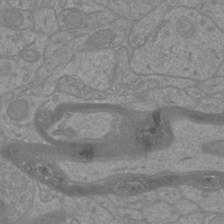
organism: Mouse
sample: Cortical neurons